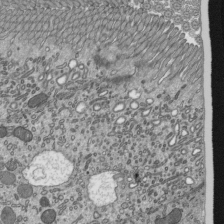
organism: Mouse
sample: Mouse epididymis efferent ductule cilia